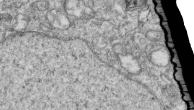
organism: Human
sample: HeLa cell HIV synapse